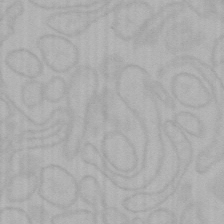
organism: Mouse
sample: Choroid plexus